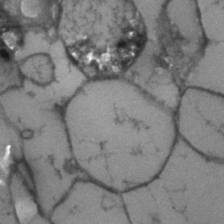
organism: Human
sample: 1205lu cells